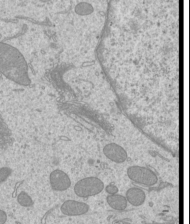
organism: Mouse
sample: Cilia; mouse epididymis